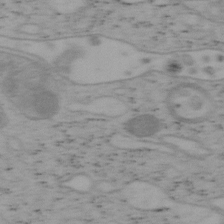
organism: Mouse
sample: OT-I killer T cells with ID8 ovarian cancer cells